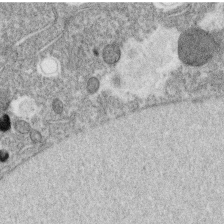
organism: C. elegans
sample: C. elegans oocyte; sperm cells